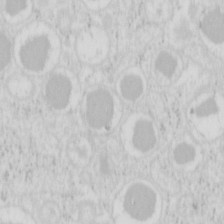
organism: Mouse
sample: Pancreas